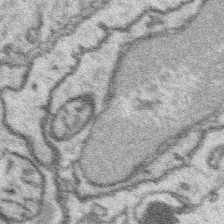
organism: Platynereis dumerilii